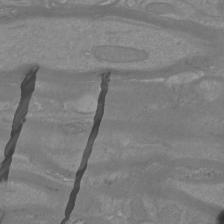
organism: Mouse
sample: Cortical neurons